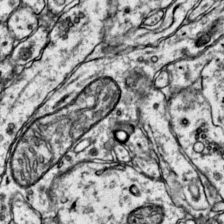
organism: Mouse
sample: Primary visual cortex